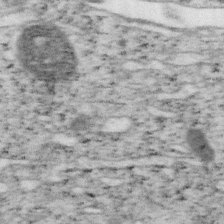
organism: Mouse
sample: OT-I killer T cells with ID8 ovarian cancer cells